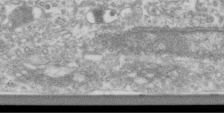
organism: Human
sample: Centriole in RPE cells